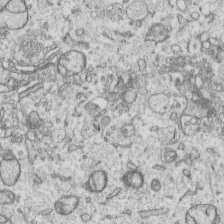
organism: Human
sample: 1205lu cells